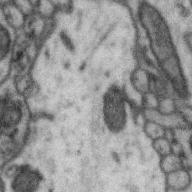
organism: Zebra finch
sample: Brain